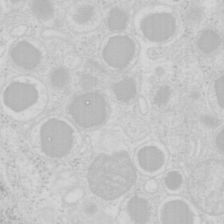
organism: Mouse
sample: Pancreas